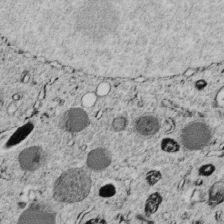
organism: C. elegans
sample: C. elegans embryo early stage